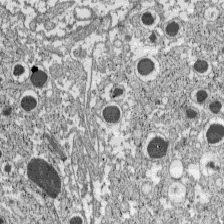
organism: C57BL Mouse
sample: Pancreatic islet